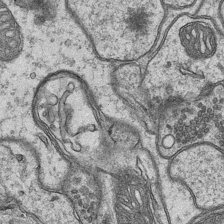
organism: Mouse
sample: CA1 Hippocampus